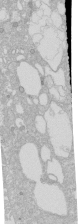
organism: Human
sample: Caco-2 cells